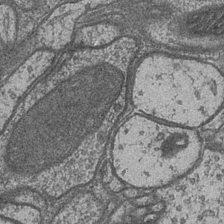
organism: Drosophila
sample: Optic medulla